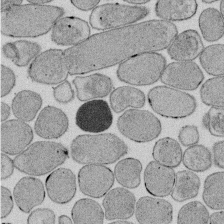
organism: E. coli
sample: Bacterial nucleoid